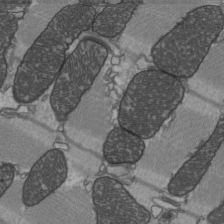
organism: C57BL Mouse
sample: Heart